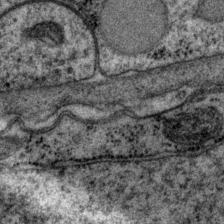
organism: P. pacificus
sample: Pharynx